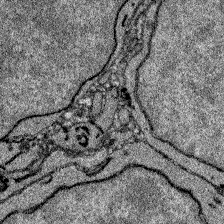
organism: Zebrafish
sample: Larval olfactory bulb